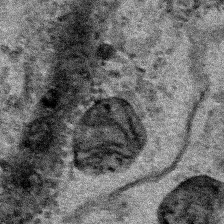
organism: Human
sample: Mitochondria in HCT116 cells